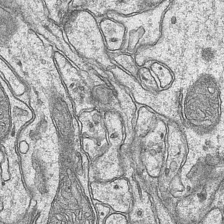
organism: Mouse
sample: CA1 Hippocampus